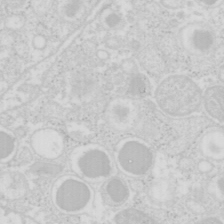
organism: Mouse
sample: Pancreas